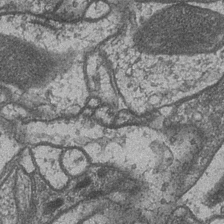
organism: Drosophila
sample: Optic medulla